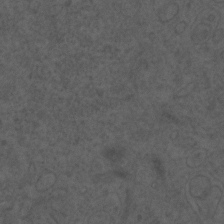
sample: Trachea